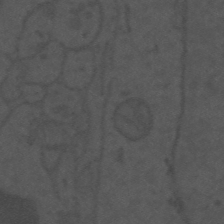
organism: Mouse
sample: Suprachiasmatic nucleus